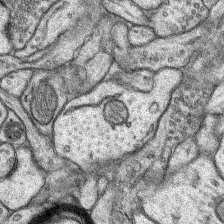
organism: Rat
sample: Hippocampus